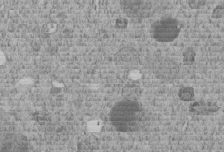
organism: C. elegans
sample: C. elegans embryo early stage